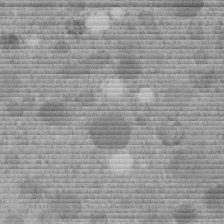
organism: C. elegans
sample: C. elegans embryo early stage